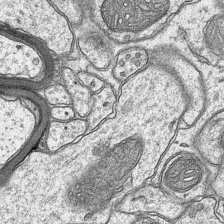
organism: Mouse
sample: CA1 Hippocampus